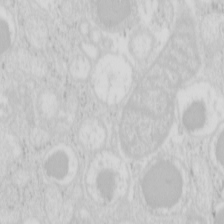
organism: Mouse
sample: Pancreas